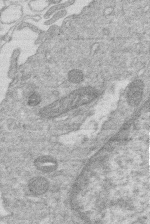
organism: Human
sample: Macrophage cells